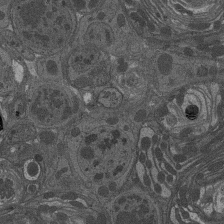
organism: Drosophila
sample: Antenna